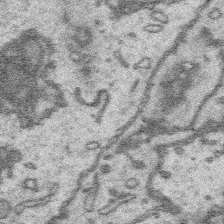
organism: Platynereis dumerilii